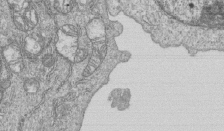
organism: Human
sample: MDA-MB-231 cells